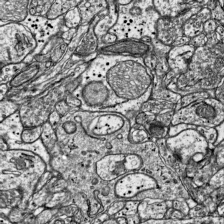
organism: Mouse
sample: Visual Cortex